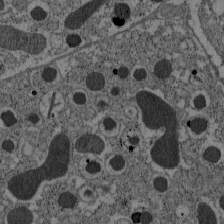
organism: C57BL Mouse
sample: Pancreatic islet